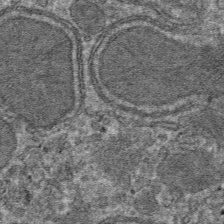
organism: Mouse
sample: Mouse hepatocytes